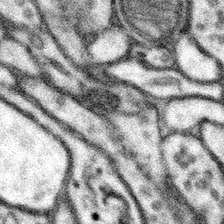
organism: Mouse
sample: Somatosensory cortex neuropil